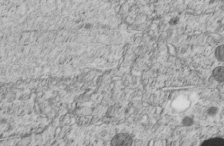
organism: C. elegans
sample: C. elegans embryo early stage